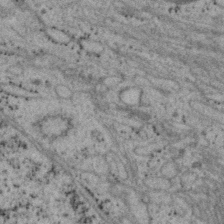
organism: Human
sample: HeLa cells